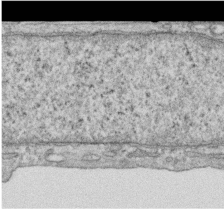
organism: Human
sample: Centriole in RPE cells